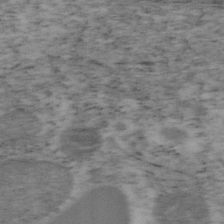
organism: Mouse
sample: OT-I killer T cells with ID8 ovarian cancer cells